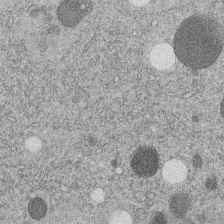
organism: C. elegans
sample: C. elegans embryo early stage